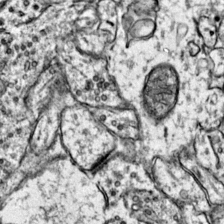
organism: Mouse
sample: Primary visual cortex